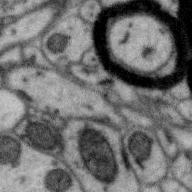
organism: Zebra finch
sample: Brain